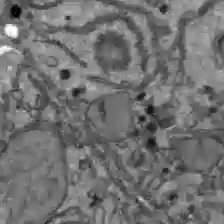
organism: C57BL Mouse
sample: Liver